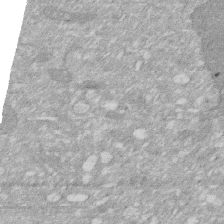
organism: Human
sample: HIV infected U937 cells